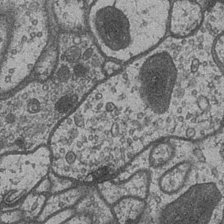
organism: Drosophila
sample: Optic medulla